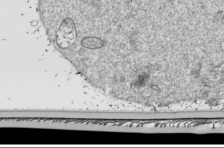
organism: Drosophila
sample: Cell division; meiosis; drosophila spermatocytes